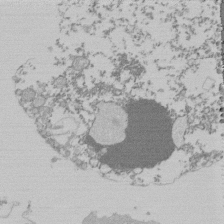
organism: Mouse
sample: Activated Pmel transgenic CD8+ T Cells